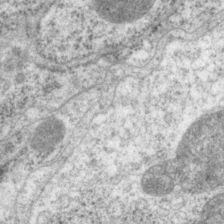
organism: P. pacificus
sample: Pharynx